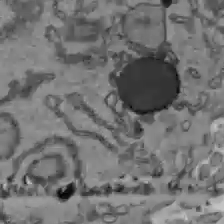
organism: C57BL Mouse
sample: Liver